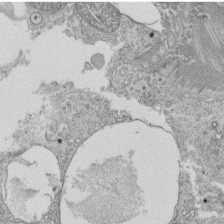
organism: Tetrahymena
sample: Cilia in tetrahymena